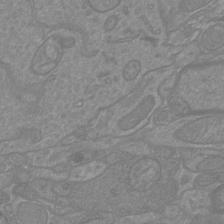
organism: Mouse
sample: Cortical neurons